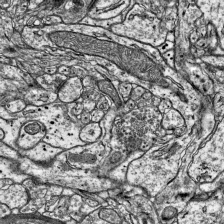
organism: Mouse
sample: Visual Cortex